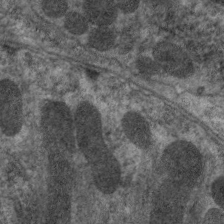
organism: C. elegans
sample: Pharynx